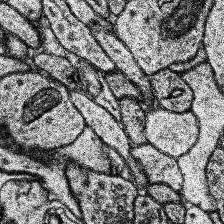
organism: Human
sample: Temporal Lobe